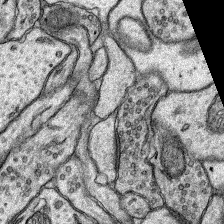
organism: Rat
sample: Hippocampus